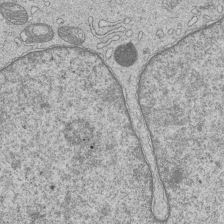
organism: Human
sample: MDA-MB-231 cells